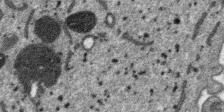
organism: Human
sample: Lung epithelial cells infected with SARS-CoV-2